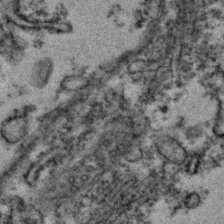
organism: Zebrafish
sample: Zebrafish embryo